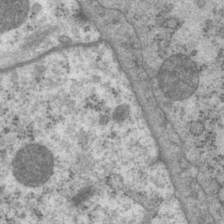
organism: P. pacificus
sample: Pharynx